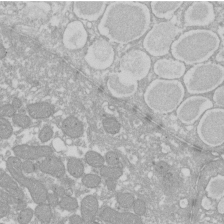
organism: Xenopus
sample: Cilia; centrioles in frog embryo cells